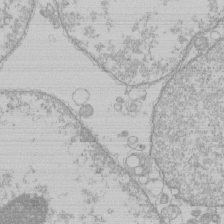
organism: Human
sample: Macrophage cells